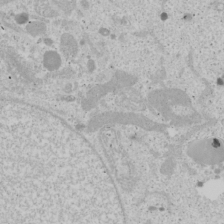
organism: Human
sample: Mitochondria in U2OS cells